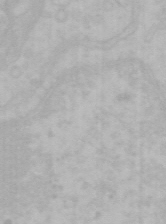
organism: Mouse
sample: Choroid plexus